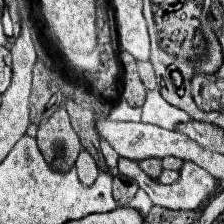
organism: Human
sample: Temporal Lobe